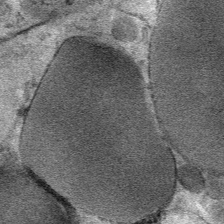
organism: Mouse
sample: Mouse Salivary gland